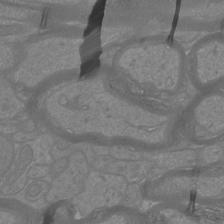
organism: Mouse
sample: Cortical neurons